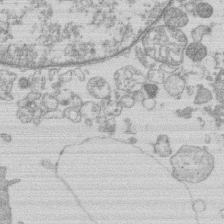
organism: Human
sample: Macrophage cells